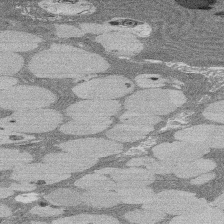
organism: Rat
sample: Salivary granule